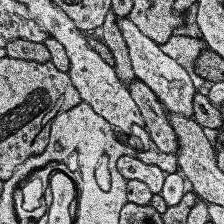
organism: Human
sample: Temporal Lobe